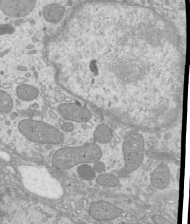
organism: Mouse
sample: Cilia; mouse epididymis